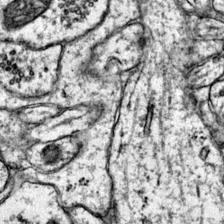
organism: Mouse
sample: Primary visual cortex